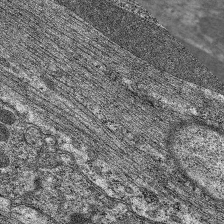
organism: C. elegans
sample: Pharynx